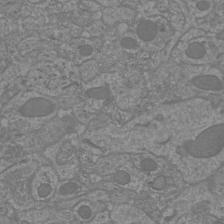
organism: Mouse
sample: Cortical neurons